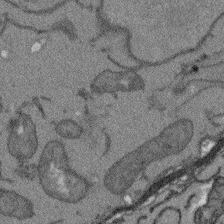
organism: Arabidopsis thaliana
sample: Root tip